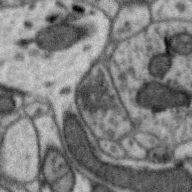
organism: Zebra finch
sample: Brain